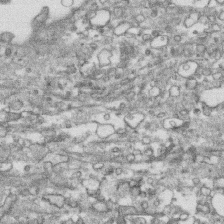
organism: Human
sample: CRL-1474